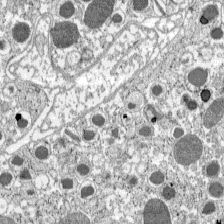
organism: C57BL Mouse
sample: Pancreatic islet